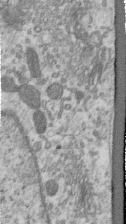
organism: Human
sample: Centriole in RPE cells